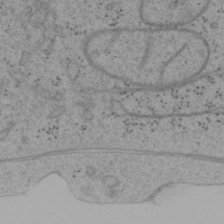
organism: Human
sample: HeLa cells